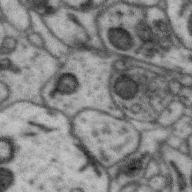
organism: Zebra finch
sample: Brain